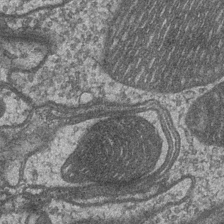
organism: Drosophila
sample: Optic medulla